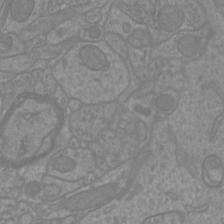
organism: Mouse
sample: Cortical neurons